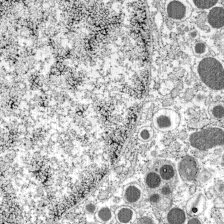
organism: C57BL Mouse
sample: Pancreatic islet